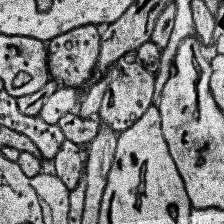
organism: Human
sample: Temporal Lobe